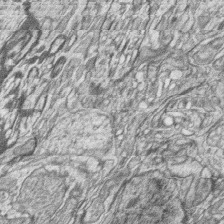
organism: Zebrafish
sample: synaptic ribbons in rod cells and cone cells